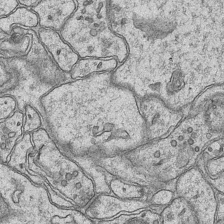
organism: Mouse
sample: CA1 Hippocampus